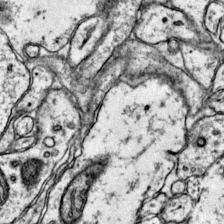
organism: Mouse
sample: Primary visual cortex